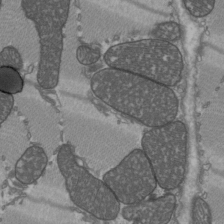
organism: C57BL Mouse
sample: Heart